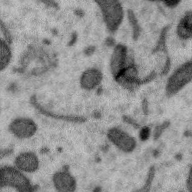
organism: Zebra finch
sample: Brain